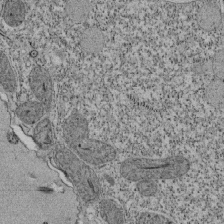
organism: Tetrahymena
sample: Cilia in tetrahymena